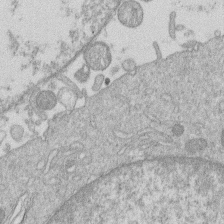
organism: Human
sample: Macrophage cells